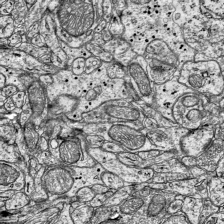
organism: Mouse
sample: Visual Cortex